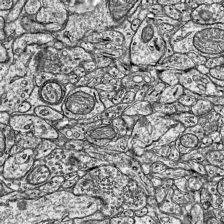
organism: Mouse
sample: Visual Cortex